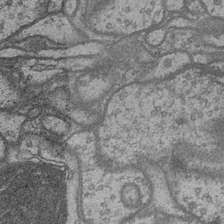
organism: Drosophila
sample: Optic medulla